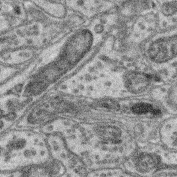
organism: Mouse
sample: Retina